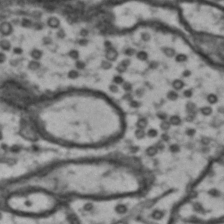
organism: Drosophila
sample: Brain